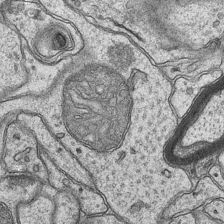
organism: Mouse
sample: CA1 Hippocampus